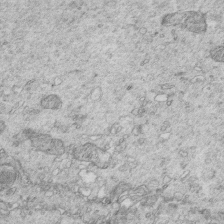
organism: Mouse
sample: Multiciliated cells